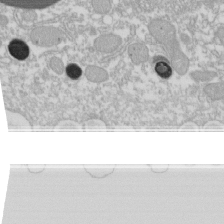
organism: Xenopus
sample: Cilia; centrioles in frog embryo cells